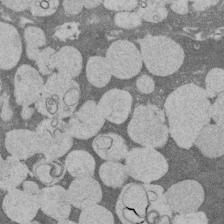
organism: Rat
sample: Salivary granule